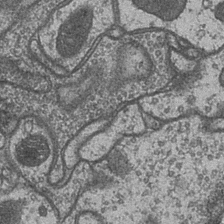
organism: Drosophila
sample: Optic medulla